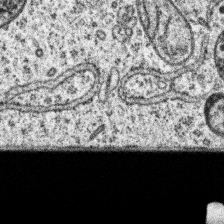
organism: Human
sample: HeLa cells